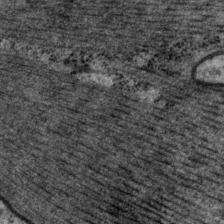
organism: P. pacificus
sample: Pharynx